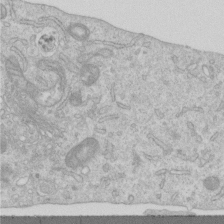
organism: Human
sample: Centriole in RPE cells